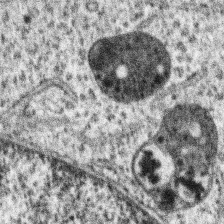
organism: Human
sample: HeLa cells